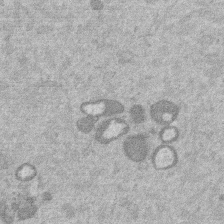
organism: Mouse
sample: Dividing mouse embryo 1 cell stage